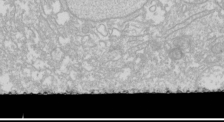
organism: Drosophila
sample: Cell division; meiosis; drosophila spermatocytes